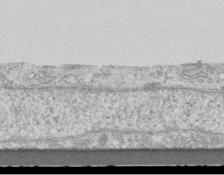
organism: Mouse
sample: Centriole in ependymal cells